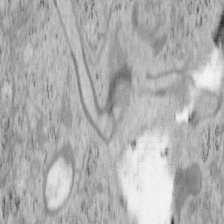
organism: Human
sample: HeLa cells